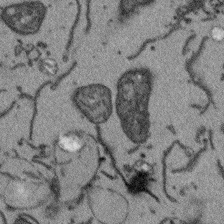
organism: Arabidopsis thaliana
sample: Root tip